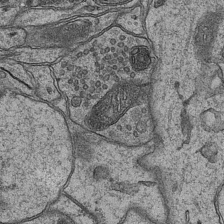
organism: Mouse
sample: CA1 Hippocampus